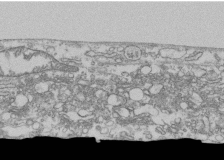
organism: Human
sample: Fibroblast cells